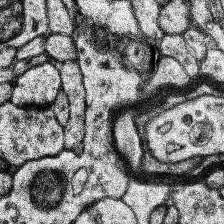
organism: Human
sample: Temporal Lobe